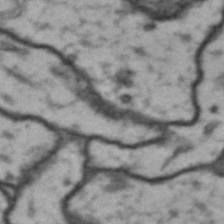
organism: Drosophila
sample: Brain